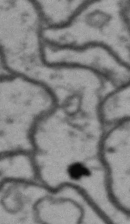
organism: Drosophila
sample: Brain